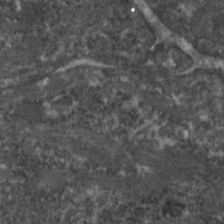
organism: Zebrafish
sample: Zebrafish embryo